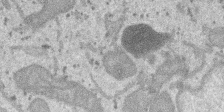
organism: Human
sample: Lung epithelial cells infected with SARS-CoV-2